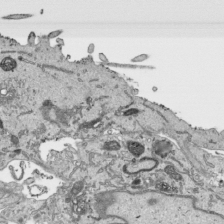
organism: Human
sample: Mitochondria in HCT116 cells